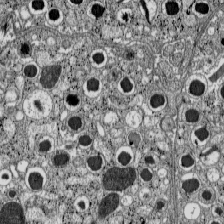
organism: C57BL Mouse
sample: Pancreatic islet